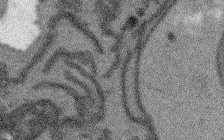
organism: Arabidopsis thaliana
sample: Root tip